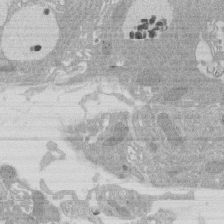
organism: Rat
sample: Salivary granule